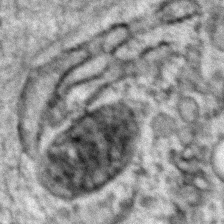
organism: Zebrafish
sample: Zebrafish embryo